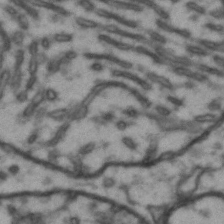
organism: Drosophila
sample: Brain